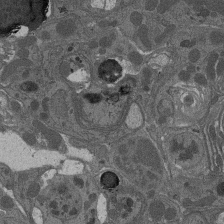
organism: Drosophila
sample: Antenna